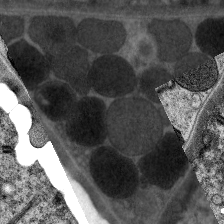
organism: C. elegans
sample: Pharynx